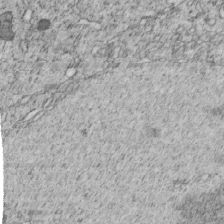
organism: C. elegans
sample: C. elegans embryo early stage